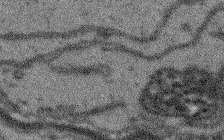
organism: Arabidopsis thaliana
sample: Root tip